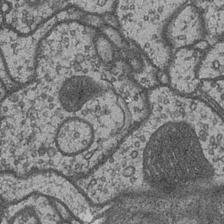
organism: Drosophila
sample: Optic medulla